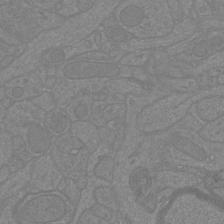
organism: Mouse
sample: Cortical neurons